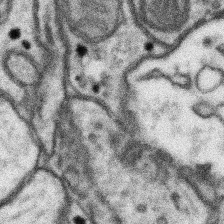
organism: Mouse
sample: Somatosensory cortex neuropil